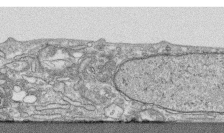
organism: Human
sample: CRL-1474